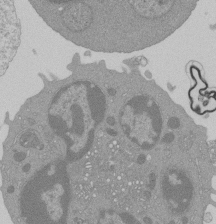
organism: Mouse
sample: Activated Pmel transgenic CD8+ T Cells